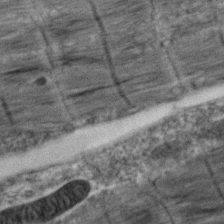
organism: Zebrafish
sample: Zebrafish embryo